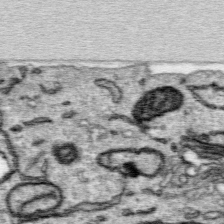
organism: Human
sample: HeLa cells